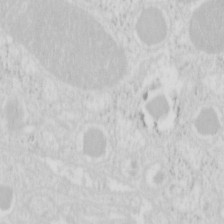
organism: Mouse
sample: Pancreas